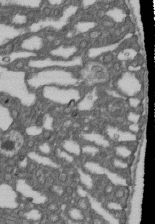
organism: Drosophila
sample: Nephrocyte